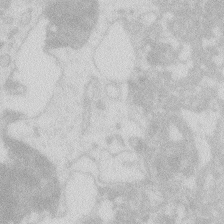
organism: Zebrafish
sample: Macrophage